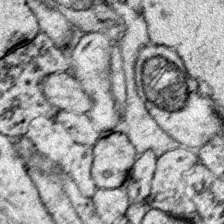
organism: Mouse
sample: Primary visual cortex